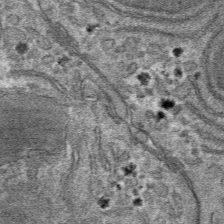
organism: Mouse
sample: Mouse hepatocytes